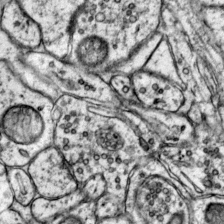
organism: Mouse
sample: Primary visual cortex